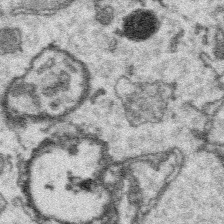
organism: Platynereis dumerilii